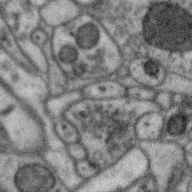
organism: Zebra finch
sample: Brain